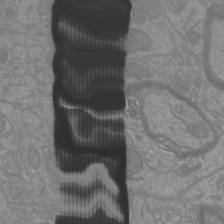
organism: Mouse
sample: Cortical neurons